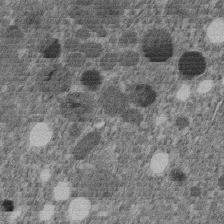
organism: C. elegans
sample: C. elegans embryo early stage